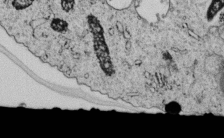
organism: C. elegans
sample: C. elegans embryo early stage